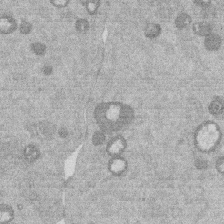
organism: Mouse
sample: Dividing mouse embryo 1 cell stage